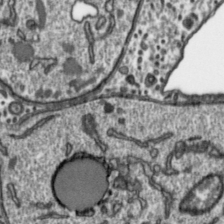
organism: Toxoplasma gondii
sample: Parasites in a vacuole inside a host cell